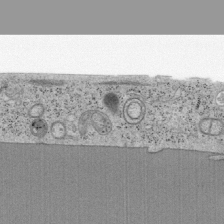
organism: Human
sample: HeLa cells